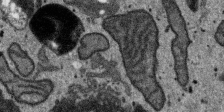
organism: Human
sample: Lung epithelial cells, uninfected (mock) control